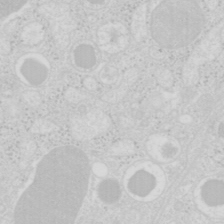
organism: Mouse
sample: Pancreas